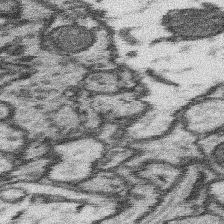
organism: Mouse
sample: Somatosensory cortex neuropil